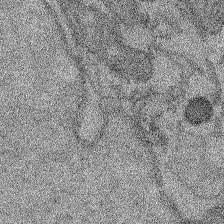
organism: Human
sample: HeLa cells